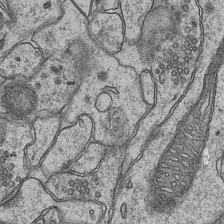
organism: Mouse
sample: CA1 Hippocampus